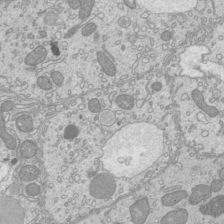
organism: Mouse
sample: Cilia; mouse epididymis